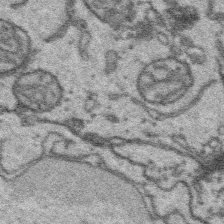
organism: Platynereis dumerilii